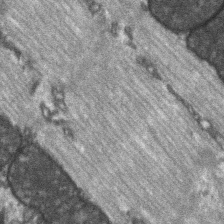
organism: C57BL Mouse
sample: Soleus